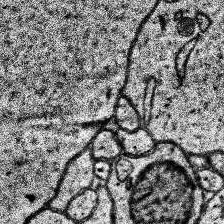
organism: Human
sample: Temporal Lobe